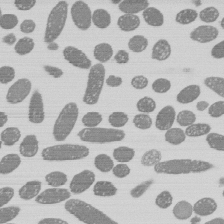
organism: E. coli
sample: Bacterial nucleoid